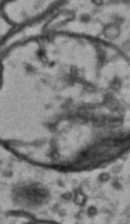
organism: Drosophila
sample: Brain